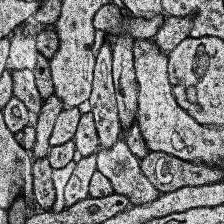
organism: Human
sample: Temporal Lobe